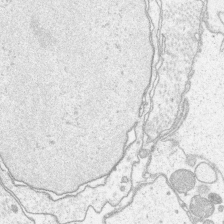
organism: Platynereis dumerilii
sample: Parapodia